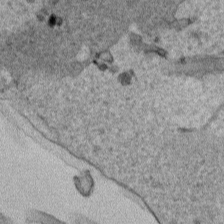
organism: Human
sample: Mitochondria in HCT116 cells